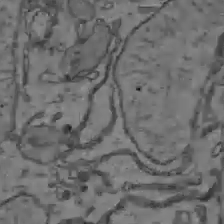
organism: C57BL Mouse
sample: Liver